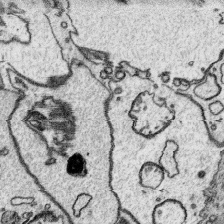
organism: Platynereis dumerilii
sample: Parapodia